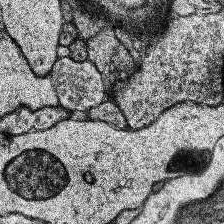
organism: Human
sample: Temporal Lobe